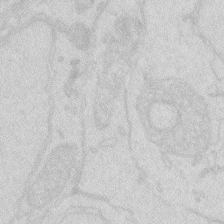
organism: Zebrafish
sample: Macrophage